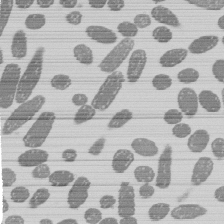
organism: E. coli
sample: Bacterial nucleoid